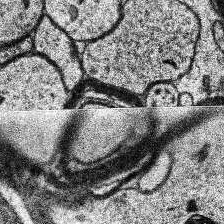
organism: Human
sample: Temporal Lobe